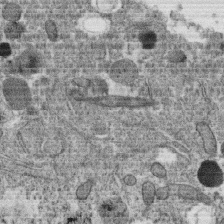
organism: C. elegans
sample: C. elegans oocyte; sperm cells